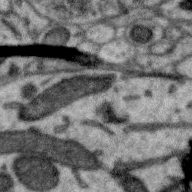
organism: Zebra finch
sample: Brain